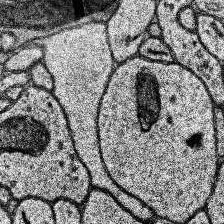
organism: Human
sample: Temporal Lobe